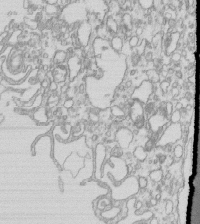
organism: Mouse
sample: Macrophages